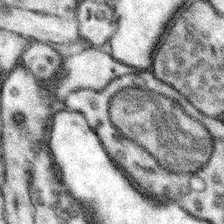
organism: Mouse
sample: Somatosensory cortex neuropil